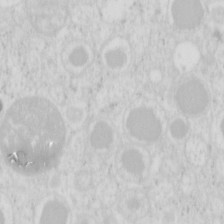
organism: Mouse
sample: Pancreas